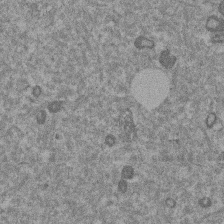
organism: Mouse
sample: Dividing mouse embryo 1 cell stage